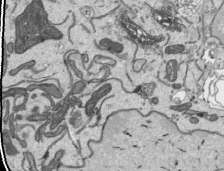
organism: Human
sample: Mitochondria in HCT116 cells